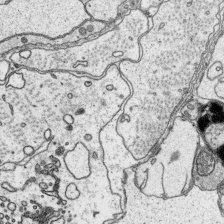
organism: Platynereis dumerilii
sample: Parapodia